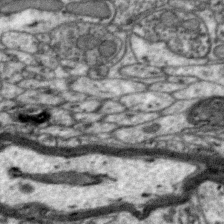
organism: Zebra finch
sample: Brain